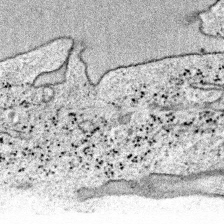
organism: Human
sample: HeLa cells